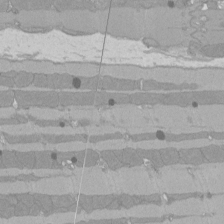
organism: Rat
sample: Left ventricle